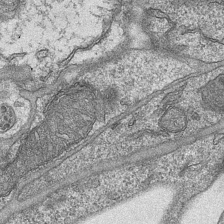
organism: Mouse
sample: CA1 Hippocampus